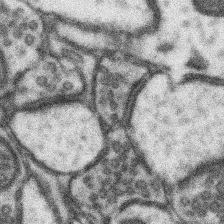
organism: Mouse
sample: Somatosensory cortex neuropil